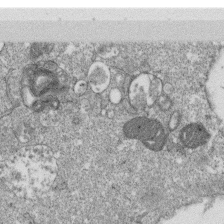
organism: African green monkey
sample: Vero E6 cells infected with SARS-CoV-2